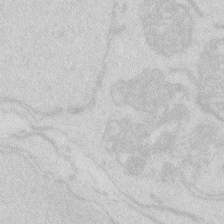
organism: Zebrafish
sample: Macrophage